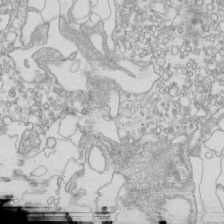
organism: Mouse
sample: Macrophages